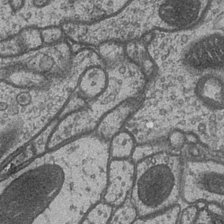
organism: Drosophila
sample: Optic medulla